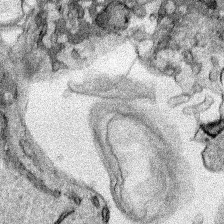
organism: Human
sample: Mitochondria in HCT116 cells